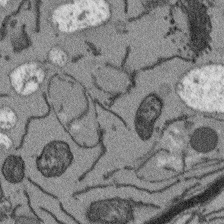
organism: Arabidopsis thaliana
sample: Root tip